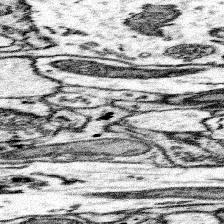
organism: Mouse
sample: Somatosensory cortex neuropil